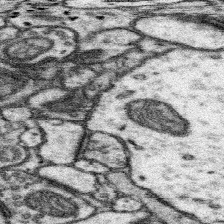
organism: Mouse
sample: Somatosensory cortex neuropil